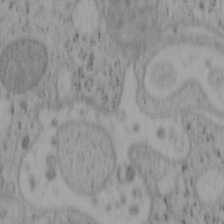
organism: Mouse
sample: OT-I killer T cells with ID8 ovarian cancer cells